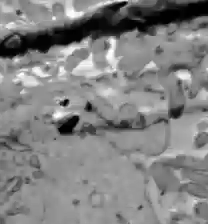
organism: C57BL Mouse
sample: Liver